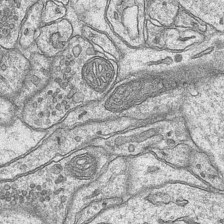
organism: Mouse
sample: CA1 Hippocampus